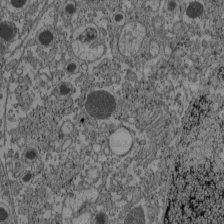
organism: C57BL Mouse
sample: Pancreatic islet